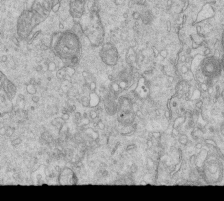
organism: Mouse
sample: Multiciliated cells